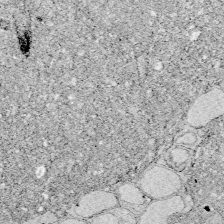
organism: Zebrafish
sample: Whole-Brain